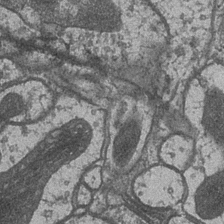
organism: Drosophila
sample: Optic medulla